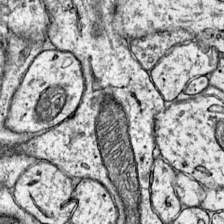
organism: Mouse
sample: Primary visual cortex